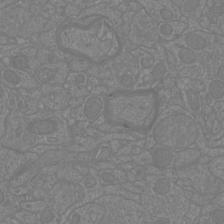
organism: Mouse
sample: Cortical neurons